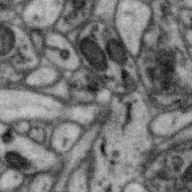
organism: Zebra finch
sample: Brain